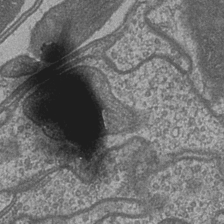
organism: Drosophila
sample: Optic medulla